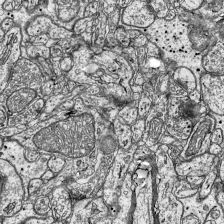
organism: Mouse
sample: Visual Cortex